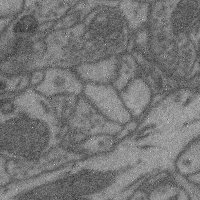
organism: Mouse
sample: Cerebral cortex